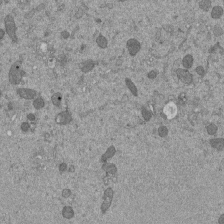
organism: Mouse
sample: ED-1 cell nuclei; centrioles